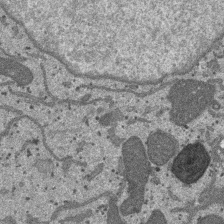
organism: Human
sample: Lung epithelial cells infected with SARS-CoV-2